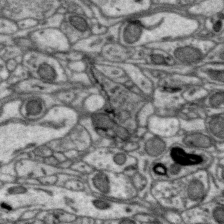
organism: Zebra finch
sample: Brain